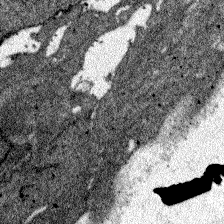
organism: Zebrafish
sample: Larval olfactory bulb